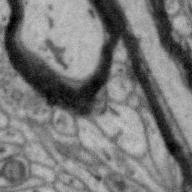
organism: Zebra finch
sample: Brain